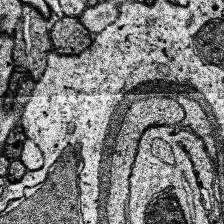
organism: Human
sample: Temporal Lobe